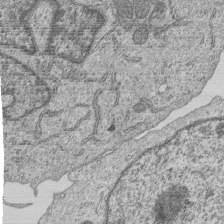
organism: Human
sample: MDA-MB-231 cells